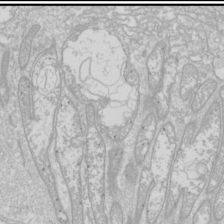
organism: Drosophila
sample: Cell division; meiosis; drosophila spermatocytes